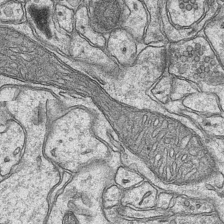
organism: Mouse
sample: CA1 Hippocampus